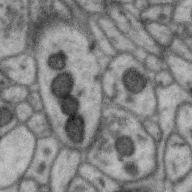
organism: Zebra finch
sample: Brain